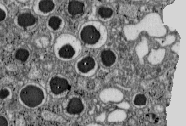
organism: C57BL Mouse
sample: Pancreatic islet